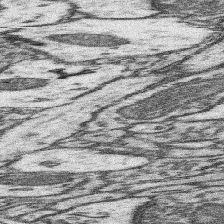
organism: Mouse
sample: Somatosensory cortex neuropil